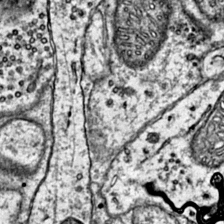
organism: Mouse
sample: Primary visual cortex